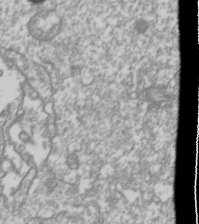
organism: Drosophila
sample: Cell division; meiosis; drosophila spermatocytes